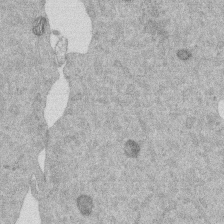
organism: Mouse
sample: Dividing mouse embryo 1 cell stage